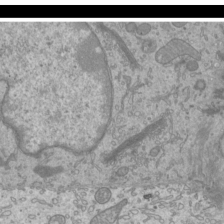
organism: Mouse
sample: Cilia; mouse epididymis